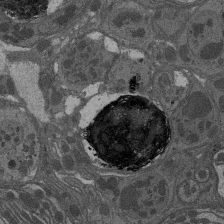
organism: Drosophila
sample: Antenna